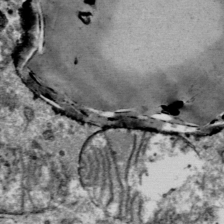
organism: Mouse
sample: Mouse Salivary gland